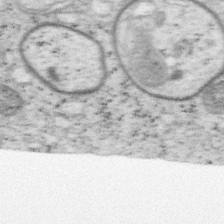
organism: Mouse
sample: OT-I killer T cells with ID8 ovarian cancer cells